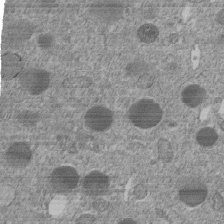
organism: C. elegans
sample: C. elegans embryo early stage